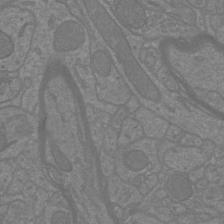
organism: Mouse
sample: Cortical neurons